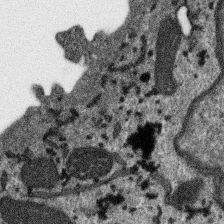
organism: Human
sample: Lung epithelial cells infected with SARS-CoV-2